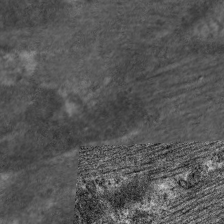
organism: C. elegans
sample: Pharynx